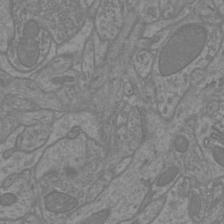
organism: Mouse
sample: Cortical neurons